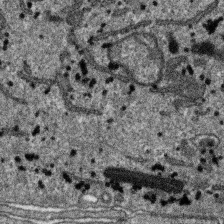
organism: Human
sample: Lung epithelial cells infected with SARS-CoV-2